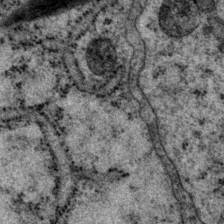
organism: P. pacificus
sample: Pharynx